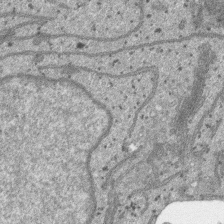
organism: Human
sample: Lung epithelial cells infected with SARS-CoV-2